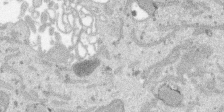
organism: Human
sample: Lung epithelial cells infected with SARS-CoV-2